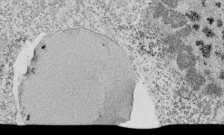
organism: Tetrahymena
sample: Cilia in tetrahymena